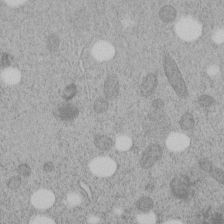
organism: C. elegans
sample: C. elegans embryo early stage